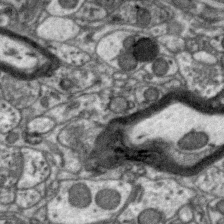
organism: Zebra finch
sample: Brain